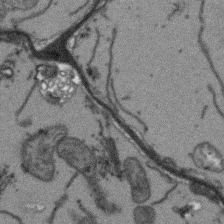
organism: Arabidopsis thaliana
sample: Root tip